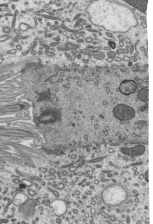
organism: Mouse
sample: Mouse epididymis efferent ductule cilia